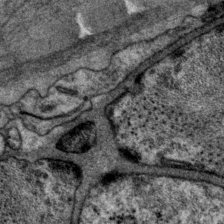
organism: P. pacificus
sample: Pharynx